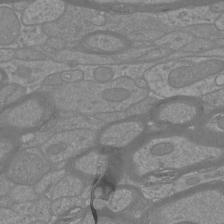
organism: Mouse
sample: Cortical neurons